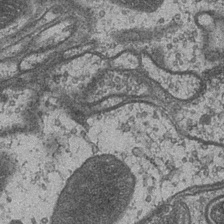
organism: Drosophila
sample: Optic medulla